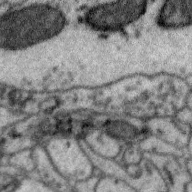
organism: Zebra finch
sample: Brain